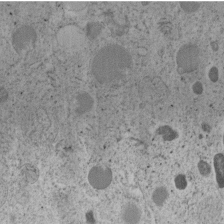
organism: C. elegans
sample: C. elegans embryo early stage